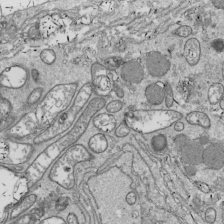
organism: Drosophila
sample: Cell division; meiosis; drosophila spermatocytes